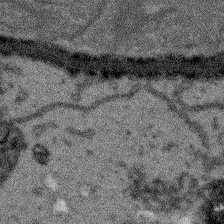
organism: Arabidopsis thaliana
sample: Root tip